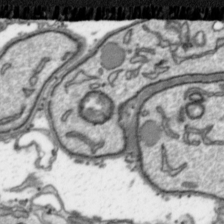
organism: Toxoplasma gondii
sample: Parasites in a vacuole inside a host cell